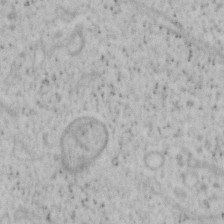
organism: Human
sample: HeLa cells